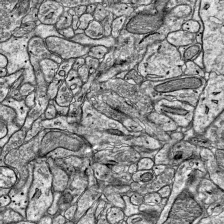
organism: Mouse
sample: Visual Cortex